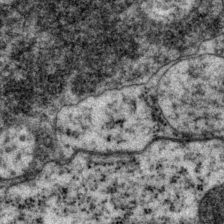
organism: P. pacificus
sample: Pharynx